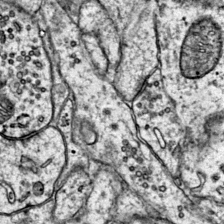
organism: Mouse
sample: Primary visual cortex